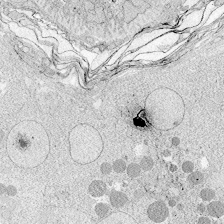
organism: Zebrafish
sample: Whole-Brain